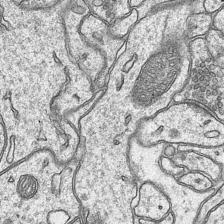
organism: Mouse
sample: CA1 Hippocampus